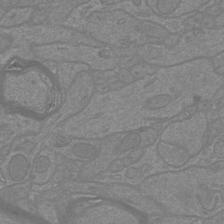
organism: Mouse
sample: Cortical neurons